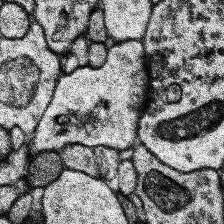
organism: Human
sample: Temporal Lobe